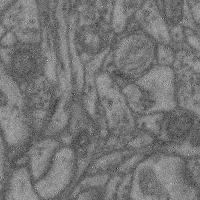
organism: Mouse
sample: Cerebral cortex